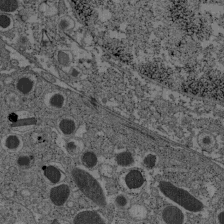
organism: C57BL Mouse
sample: Pancreatic islet